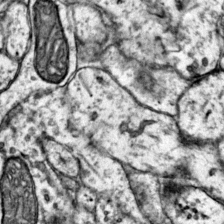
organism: Mouse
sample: Primary visual cortex